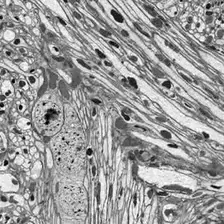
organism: Drosophila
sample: Optic lobe